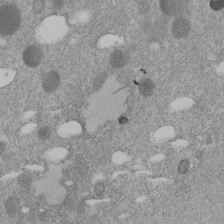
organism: C. elegans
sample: C. elegans embryo early stage